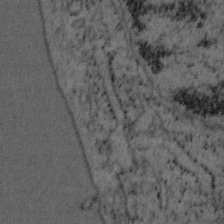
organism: Human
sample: HeLa cells